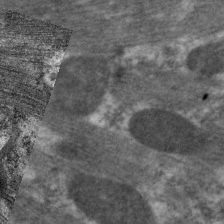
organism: C. elegans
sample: Pharynx